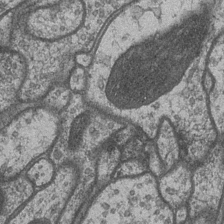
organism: Drosophila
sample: Optic medulla